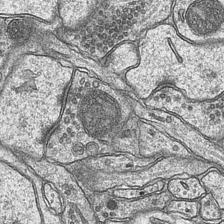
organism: Mouse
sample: CA1 Hippocampus